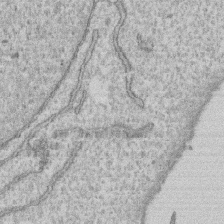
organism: Human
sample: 1205lu cells